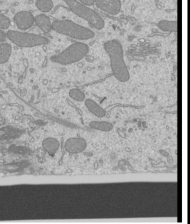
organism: Mouse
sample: Cilia; mouse epididymis